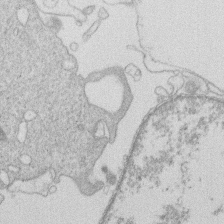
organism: Human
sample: Macrophage cells